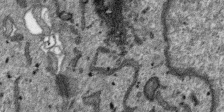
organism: Human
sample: Lung epithelial cells, uninfected (mock) control